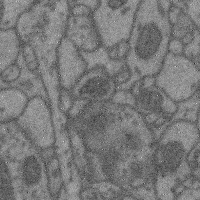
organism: Mouse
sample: Cerebral cortex